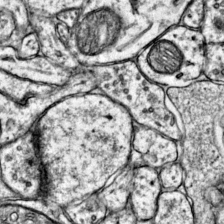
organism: Mouse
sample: Primary visual cortex